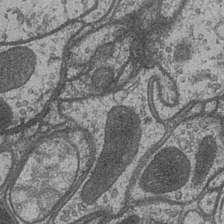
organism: Drosophila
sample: Optic medulla